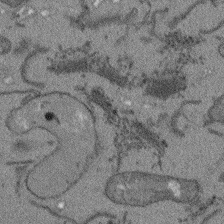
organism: Arabidopsis thaliana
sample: Root tip